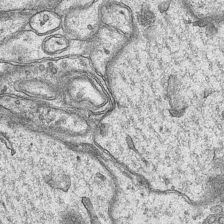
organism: Mouse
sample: CA1 Hippocampus